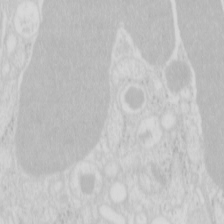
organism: Mouse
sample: Pancreas